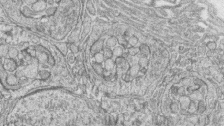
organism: Zebrafish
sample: synaptic ribbons in rod cells and cone cells